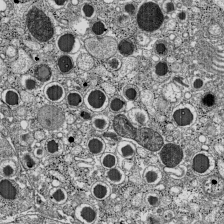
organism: C57BL Mouse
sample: Pancreatic islet